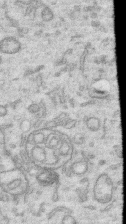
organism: Human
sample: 1205lu cells